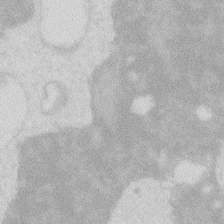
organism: Zebrafish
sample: Macrophage